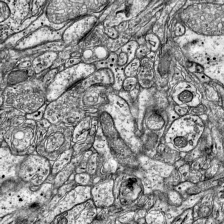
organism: Mouse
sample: Visual Cortex